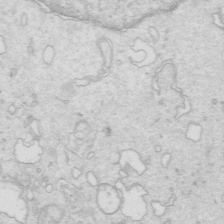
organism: Mouse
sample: Multiciliated cells